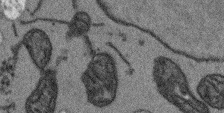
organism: Arabidopsis thaliana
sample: Root tip